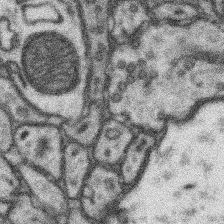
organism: Mouse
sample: Somatosensory cortex neuropil